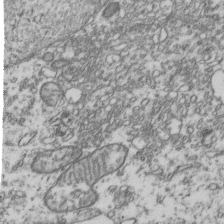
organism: Human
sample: Activated Jurkat CD4+ T cells